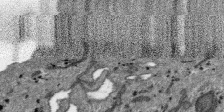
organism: Human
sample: Lung epithelial cells, uninfected (mock) control